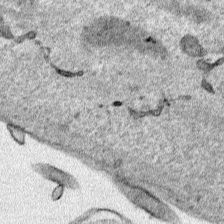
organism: Human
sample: Mitochondria in HCT116 cells